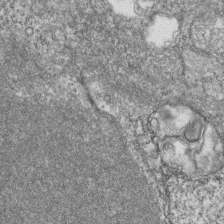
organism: Zebrafish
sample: Cilia; retinal pigment epithelium